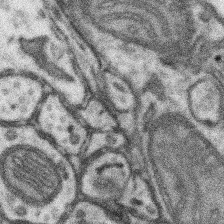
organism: Mouse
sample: Somatosensory cortex neuropil